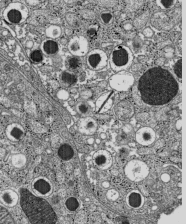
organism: C57BL Mouse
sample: Pancreatic islet